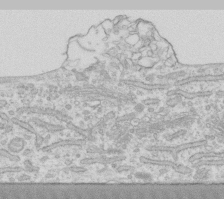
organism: Human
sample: Fibroblast cells